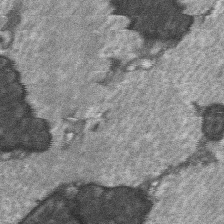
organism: C57BL Mouse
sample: Soleus